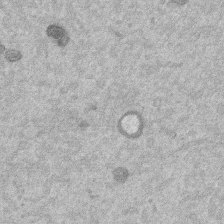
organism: Mouse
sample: Dividing mouse embryo 1 cell stage